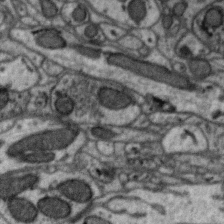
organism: Zebra finch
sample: Brain